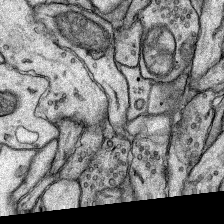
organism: Rat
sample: Hippocampus